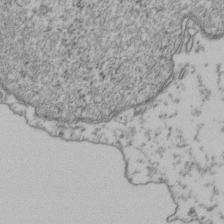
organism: Human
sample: Activated Jurkat CD4+ T cells